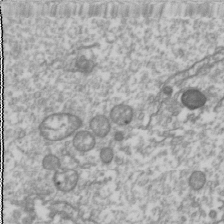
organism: Drosophila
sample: Cell division; meiosis; drosophila spermatocytes